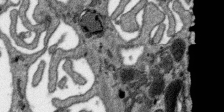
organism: Human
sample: Lung epithelial cells, uninfected (mock) control